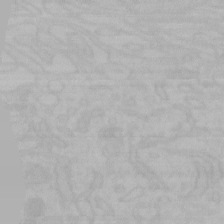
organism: Mouse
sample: Choroid plexus